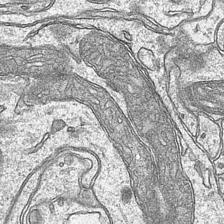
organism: Mouse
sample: CA1 Hippocampus